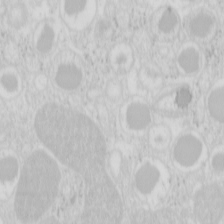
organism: Mouse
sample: Pancreas